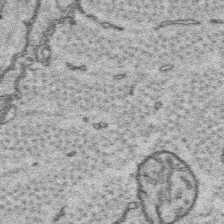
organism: Platynereis dumerilii